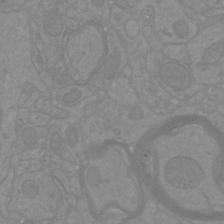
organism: Mouse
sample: Cortical neurons